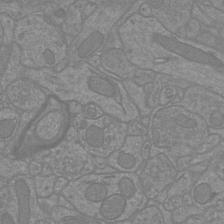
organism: Mouse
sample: Cortical neurons